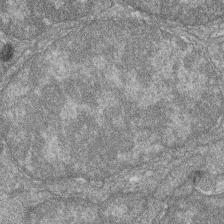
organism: Zebrafish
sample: Cilia; retinal pigment epithelium